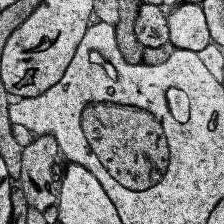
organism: Human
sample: Temporal Lobe